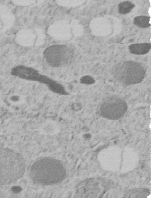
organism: C. elegans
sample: C. elegans embryo early stage